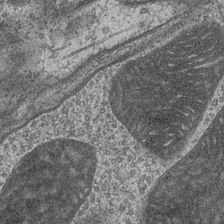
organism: Drosophila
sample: Optic medulla